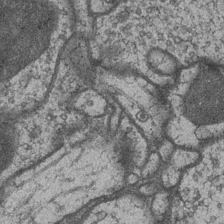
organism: Drosophila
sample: Optic medulla